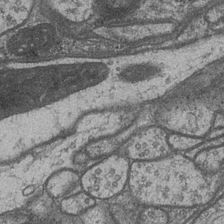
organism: Drosophila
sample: Optic medulla